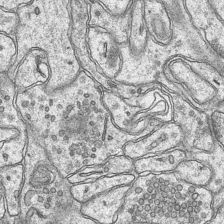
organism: Mouse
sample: CA1 Hippocampus